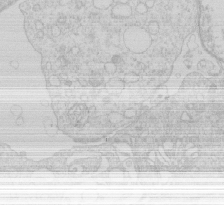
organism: Human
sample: Macrophage cells